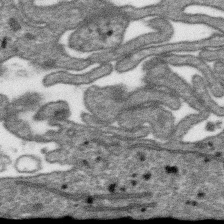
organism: Human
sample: Lung epithelial cells infected with SARS-CoV-2